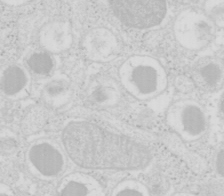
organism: Mouse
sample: Pancreas